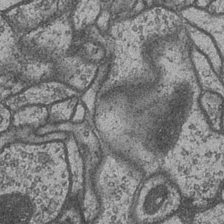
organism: Drosophila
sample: Optic medulla